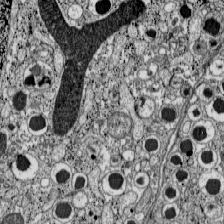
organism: C57BL Mouse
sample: Pancreatic islet